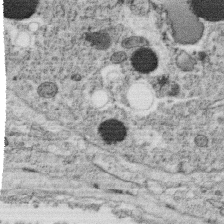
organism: C. elegans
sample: C. elegans oocyte; sperm cells